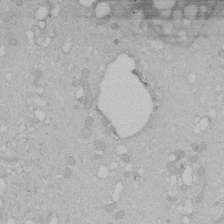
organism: Human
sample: Melanocyte Keratinocyte synapse skin construct